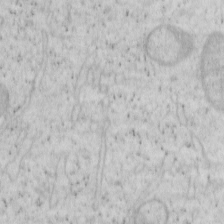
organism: Human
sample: HeLa cells